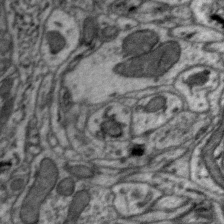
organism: Zebra finch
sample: Brain